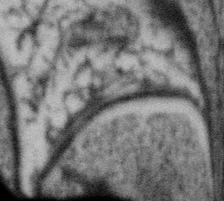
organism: Gemmata obscuriglobus